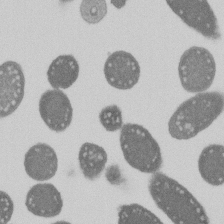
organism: E. coli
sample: Bacterial nucleoid